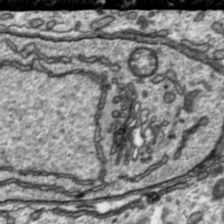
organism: Toxoplasma gondii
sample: Parasites in a vacuole inside a host cell